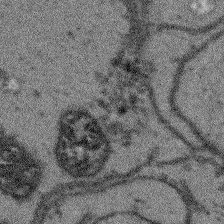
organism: Arabidopsis thaliana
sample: Root tip